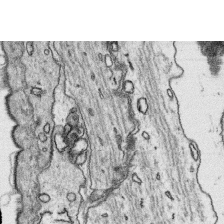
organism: Platynereis dumerilii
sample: Parapodia